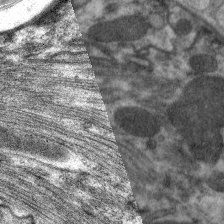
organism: C. elegans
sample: Pharynx